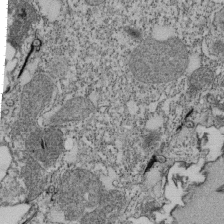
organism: Tetrahymena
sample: Cilia in tetrahymena